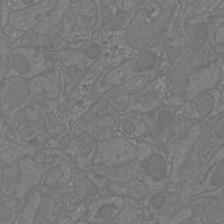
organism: Mouse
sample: Cortical neurons